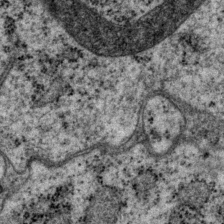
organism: P. pacificus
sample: Pharynx